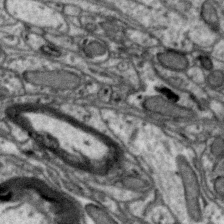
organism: Zebra finch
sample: Brain